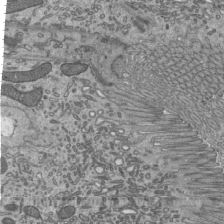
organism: Mouse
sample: Mouse epididymis efferent ductule cilia